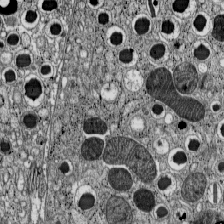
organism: C57BL Mouse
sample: Pancreatic islet